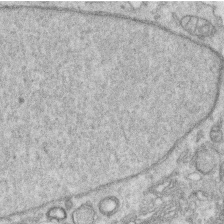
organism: Human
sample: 1205lu cells